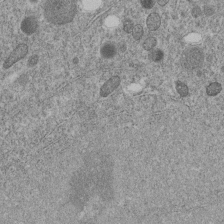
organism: C. elegans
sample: C. elegans embryo early stage